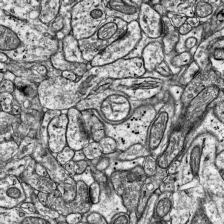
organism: Mouse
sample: Visual Cortex